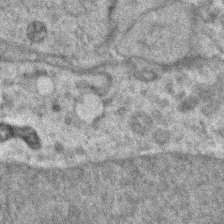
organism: Zebrafish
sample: Zebrafish embryo